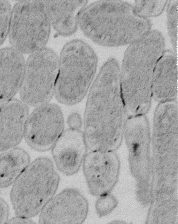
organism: E. coli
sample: Bacterial nucleoid